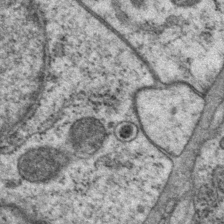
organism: P. pacificus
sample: Pharynx